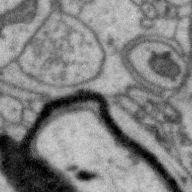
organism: Zebra finch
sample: Brain